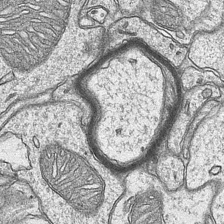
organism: Mouse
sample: CA1 Hippocampus